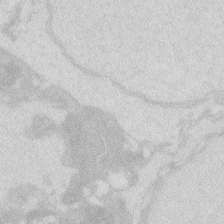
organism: Zebrafish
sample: Macrophage